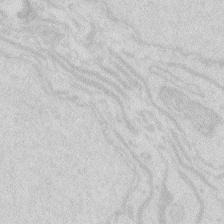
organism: Zebrafish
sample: Macrophage